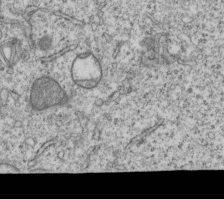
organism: Human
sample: MDA-MB-231 cells